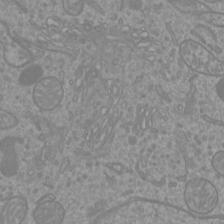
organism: Mouse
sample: Cortical neurons